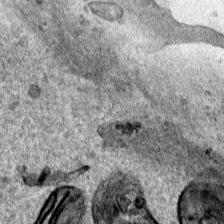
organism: Human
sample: Mitochondria in HCT116 cells